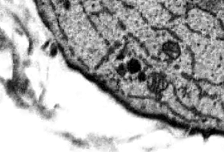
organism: Human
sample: HeLa cells